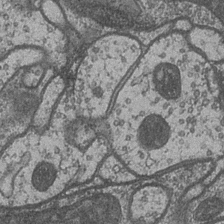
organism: Drosophila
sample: Optic medulla